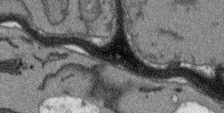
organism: Arabidopsis thaliana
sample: Root tip